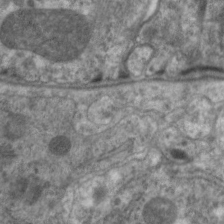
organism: C. elegans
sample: Pharynx